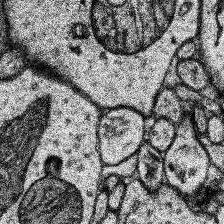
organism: Human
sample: Temporal Lobe